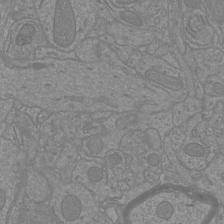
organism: Mouse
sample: Cortical neurons